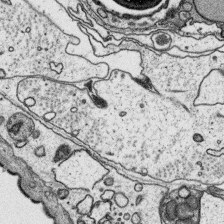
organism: Platynereis dumerilii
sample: Parapodia